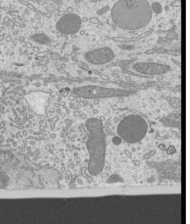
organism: Mouse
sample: Cilia; mouse epididymis